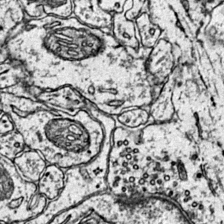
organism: Mouse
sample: Primary visual cortex